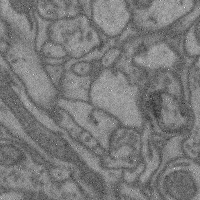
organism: Mouse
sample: Cerebral cortex